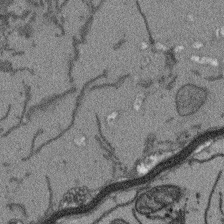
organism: Arabidopsis thaliana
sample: Root tip